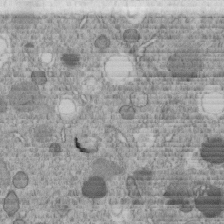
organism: C. elegans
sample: C. elegans embryo early stage